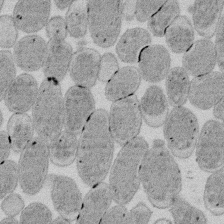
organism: E. coli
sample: Bacterial nucleoid